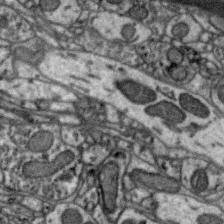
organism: Zebra finch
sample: Brain